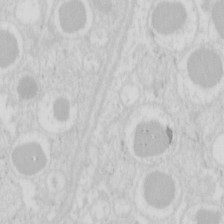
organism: Mouse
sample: Pancreas